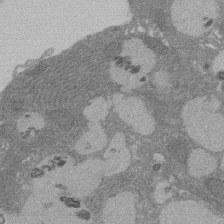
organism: Rat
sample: Salivary granule